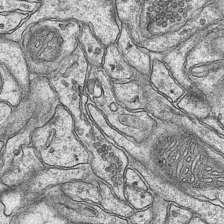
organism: Mouse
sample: CA1 Hippocampus